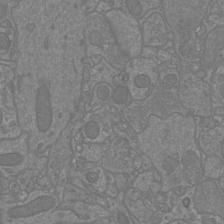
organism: Mouse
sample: Cortical neurons